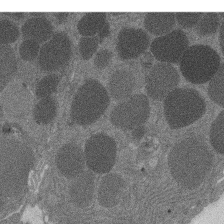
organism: Rat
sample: Salivary granule